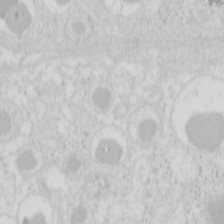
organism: Mouse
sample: Pancreas